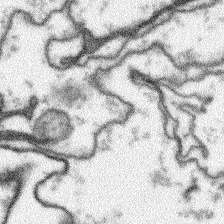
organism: Arabidopsis thaliana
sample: Root tip